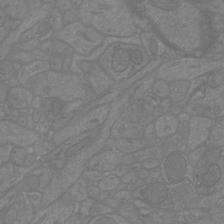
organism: Mouse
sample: Cortical neurons